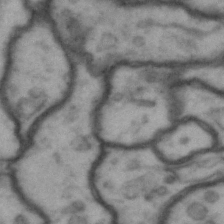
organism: Drosophila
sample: Brain